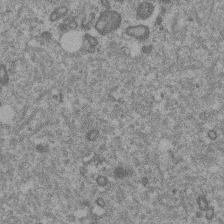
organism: Mouse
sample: Dividing mouse embryo 1 cell stage